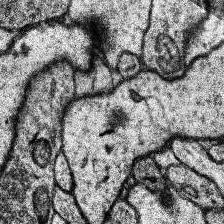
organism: Human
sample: Temporal Lobe